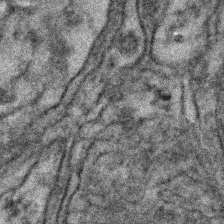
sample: Kidney